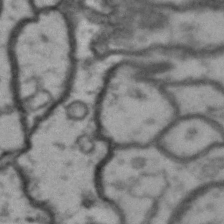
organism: Drosophila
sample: Brain